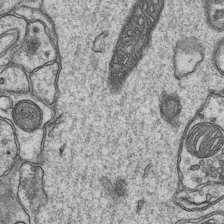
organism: Mouse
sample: CA1 Hippocampus